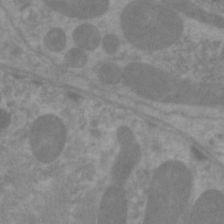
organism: C. elegans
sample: Pharynx